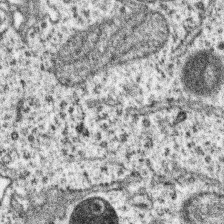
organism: Human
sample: HeLa cells